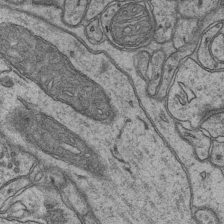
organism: Mouse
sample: CA1 Hippocampus